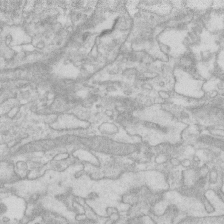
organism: Human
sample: Fibroblast cells